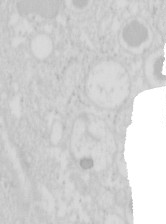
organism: Mouse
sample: Pancreas